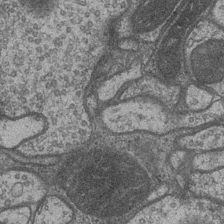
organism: Drosophila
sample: Optic medulla